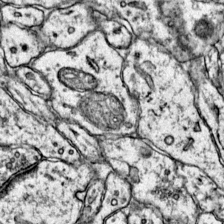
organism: Mouse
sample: Primary visual cortex